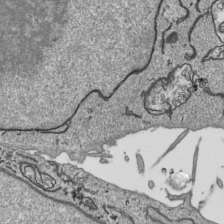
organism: Human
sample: Mitochondria in HCT116 cells